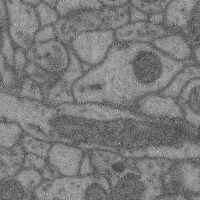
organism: Mouse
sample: Cerebral cortex